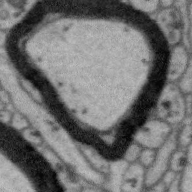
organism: Zebra finch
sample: Brain